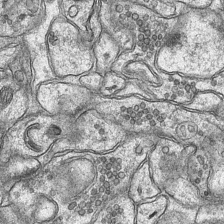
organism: Mouse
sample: CA1 Hippocampus